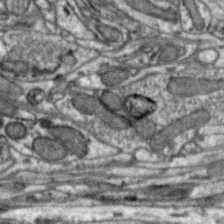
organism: Zebra finch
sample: Brain